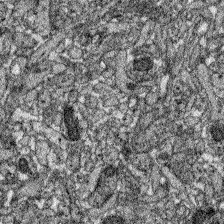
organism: Zebrafish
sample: Larval olfactory bulb